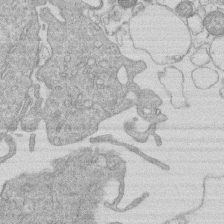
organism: Human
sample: Macrophage cells